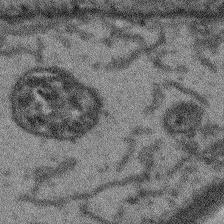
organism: Arabidopsis thaliana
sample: Root tip